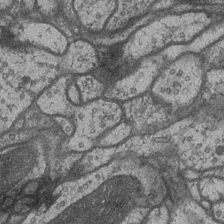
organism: Drosophila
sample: Optic medulla